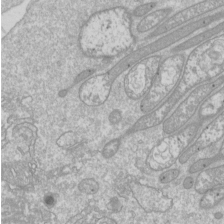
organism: Drosophila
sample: Cell division; meiosis; drosophila spermatocytes